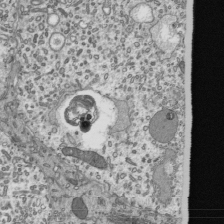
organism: Mouse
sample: Mouse epididymis efferent ductule cilia